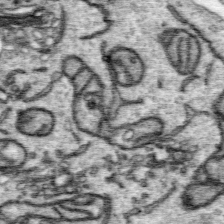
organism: Human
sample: HeLa cells